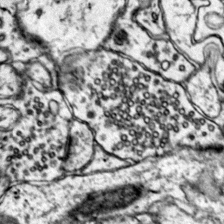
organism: Mouse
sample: Primary visual cortex